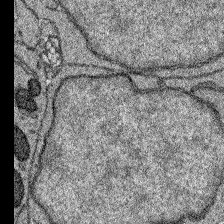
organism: Zebrafish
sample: Larval olfactory bulb